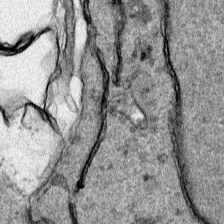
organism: Human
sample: Mitochondria in HCT116 cells